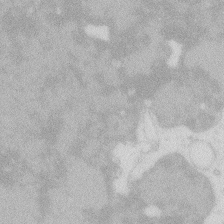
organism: Zebrafish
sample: Macrophage